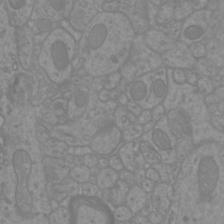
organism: Mouse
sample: Cortical neurons